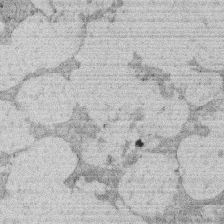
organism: Rat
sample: Salivary granule